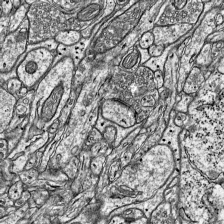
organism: Mouse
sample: Visual Cortex